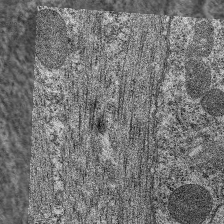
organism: C. elegans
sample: Pharynx